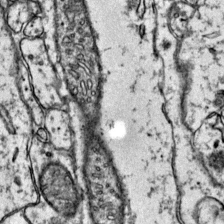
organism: Mouse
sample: Primary visual cortex